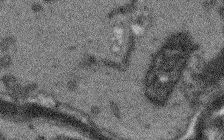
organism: Arabidopsis thaliana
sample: Root tip